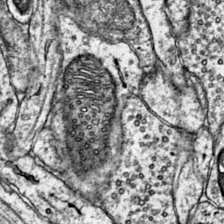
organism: Mouse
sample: Primary visual cortex